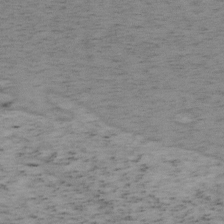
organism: Mouse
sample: OT-I killer T cells with ID8 ovarian cancer cells